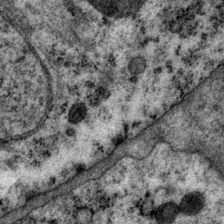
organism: P. pacificus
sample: Pharynx